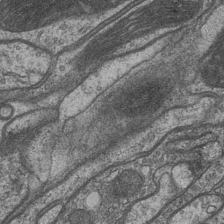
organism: Drosophila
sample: Optic medulla